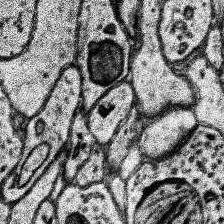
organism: Human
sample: Temporal Lobe